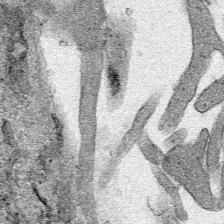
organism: Human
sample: Mitochondria in HCT116 cells